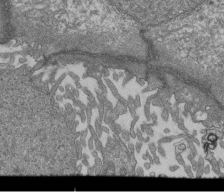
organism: Human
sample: Retinal organoid Rod and Cone cells